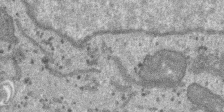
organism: Human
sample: Lung epithelial cells infected with SARS-CoV-2